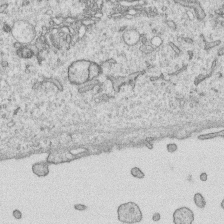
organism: Human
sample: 1205lu cells